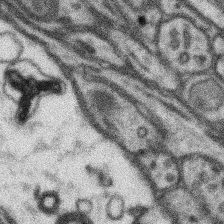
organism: Mouse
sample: Somatosensory cortex neuropil